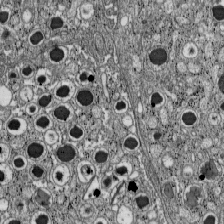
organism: C57BL Mouse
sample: Pancreatic islet